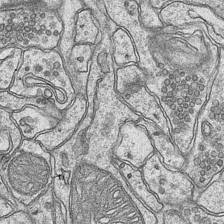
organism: Mouse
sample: CA1 Hippocampus